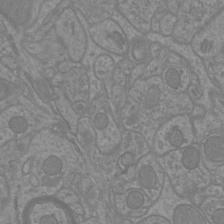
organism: Mouse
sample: Cortical neurons